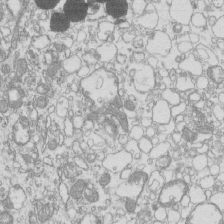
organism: Mouse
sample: Macrophages